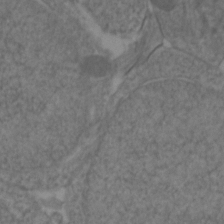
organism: Zebrafish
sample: Zebrafish embryo